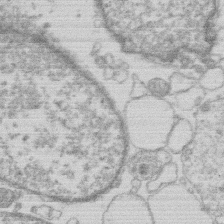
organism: Human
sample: Macrophage cells